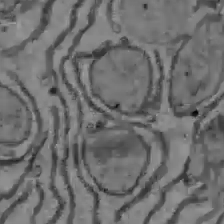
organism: C57BL Mouse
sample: Liver